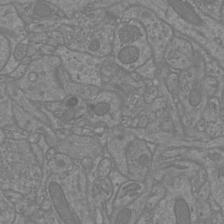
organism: Mouse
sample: Cortical neurons